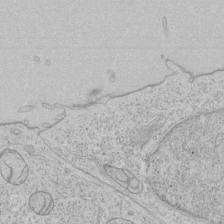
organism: Human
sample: Mitochondria in HCT116 cells